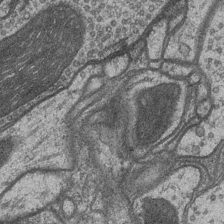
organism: Drosophila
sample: Optic medulla